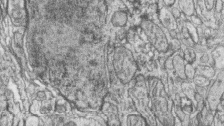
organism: Zebrafish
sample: synaptic ribbons in rod cells and cone cells